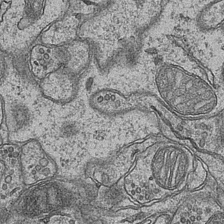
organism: Mouse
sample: CA1 Hippocampus